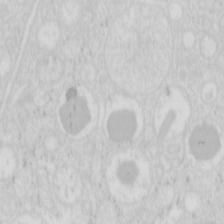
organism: Mouse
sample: Pancreas